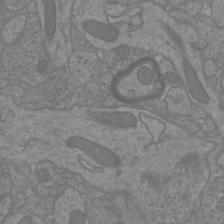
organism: Mouse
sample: Cortical neurons